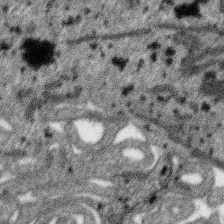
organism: Human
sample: Lung epithelial cells infected with SARS-CoV-2